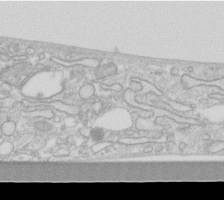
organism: Human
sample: Fibroblast cells